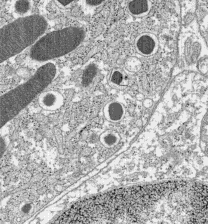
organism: C57BL Mouse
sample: Pancreatic islet